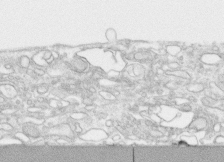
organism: Human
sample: CRL-1474